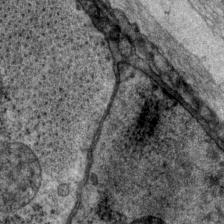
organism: P. pacificus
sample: Pharynx